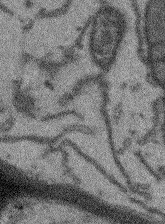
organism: Arabidopsis thaliana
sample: Root tip